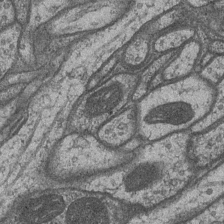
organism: Drosophila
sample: Optic medulla